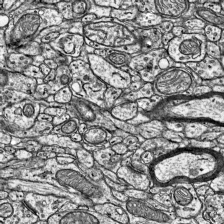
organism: Mouse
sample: Visual Cortex